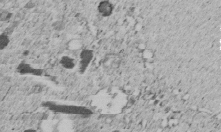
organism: C. elegans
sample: C. elegans embryo early stage